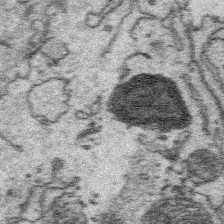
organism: Platynereis dumerilii